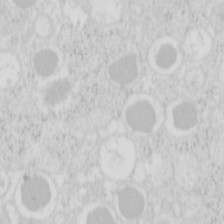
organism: Mouse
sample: Pancreas